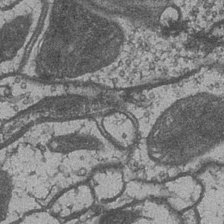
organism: Drosophila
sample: Optic medulla